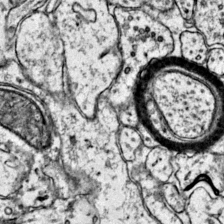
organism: Mouse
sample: Primary visual cortex